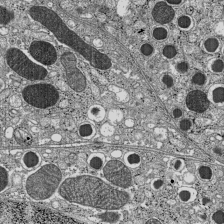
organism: C57BL Mouse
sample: Pancreatic islet